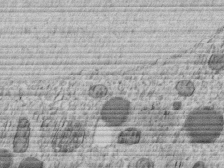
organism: C. elegans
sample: C. elegans embryo early stage